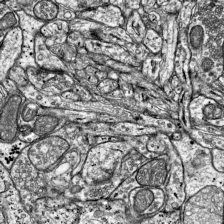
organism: Mouse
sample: Visual Cortex